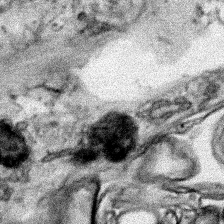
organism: Human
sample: Mitochondria in HCT116 cells